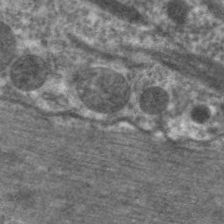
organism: C. elegans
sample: Pharynx